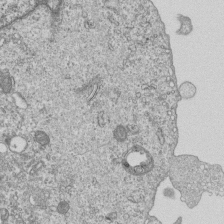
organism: Human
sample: MDA-MB-231 cells